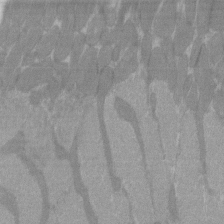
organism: C57BL Mouse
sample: Tibialis anterior muscle cell